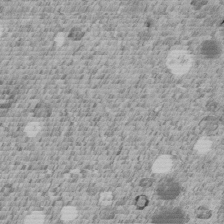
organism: C. elegans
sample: C. elegans embryo early stage